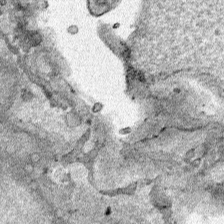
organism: Human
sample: Mitochondria in HCT116 cells